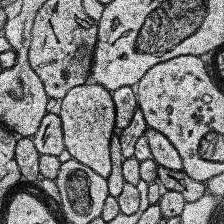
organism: Human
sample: Temporal Lobe